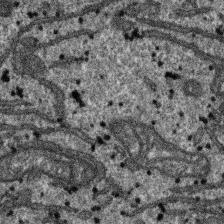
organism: Human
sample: Lung epithelial cells infected with SARS-CoV-2